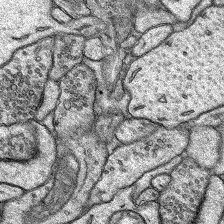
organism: Rat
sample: Hippocampus